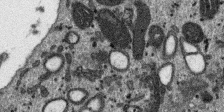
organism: Human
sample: Lung epithelial cells infected with SARS-CoV-2